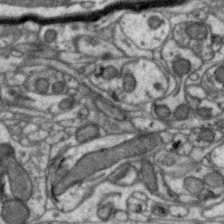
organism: Zebra finch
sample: Brain